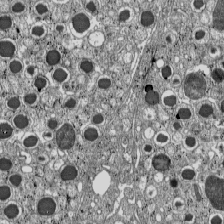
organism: C57BL Mouse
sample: Pancreatic islet